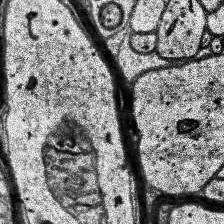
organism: Human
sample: Temporal Lobe